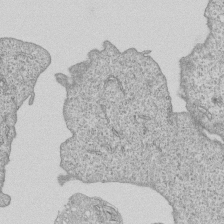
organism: Human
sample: MDA-MB-231 cells